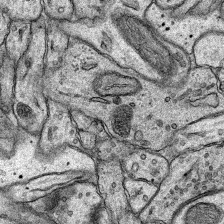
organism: Rat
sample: Hippocampus